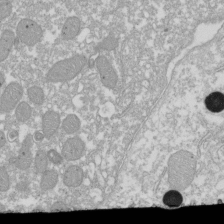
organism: Xenopus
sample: Cilia; centrioles in frog embryo cells